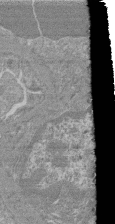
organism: Mouse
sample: Glomerulus